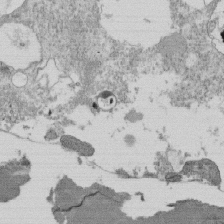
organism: Tetrahymena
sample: Cilia in tetrahymena